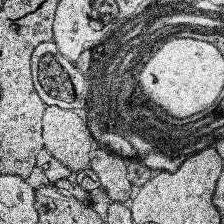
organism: Human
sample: Temporal Lobe